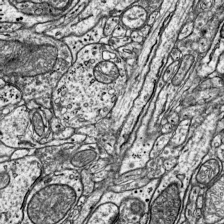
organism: Mouse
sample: Visual Cortex